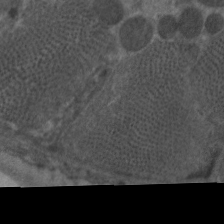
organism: C. elegans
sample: Pharynx